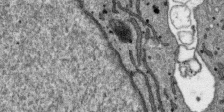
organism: Human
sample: Lung epithelial cells, uninfected (mock) control